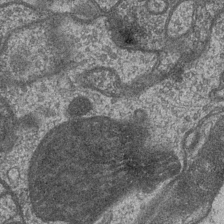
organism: Drosophila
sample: Optic medulla